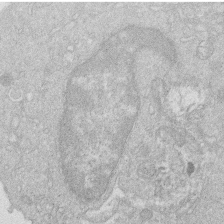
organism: Human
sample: Macrophage cells